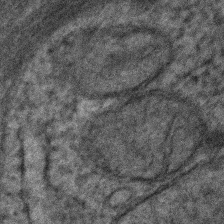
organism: Human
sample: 1205lu cells